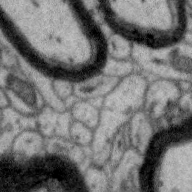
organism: Zebra finch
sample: Brain